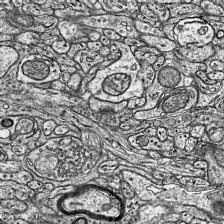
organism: Mouse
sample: Visual Cortex